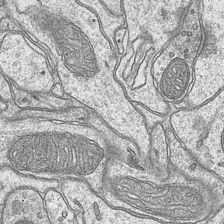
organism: Mouse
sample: CA1 Hippocampus